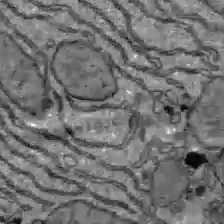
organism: C57BL Mouse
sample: Liver